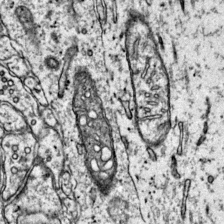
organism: Mouse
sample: Primary visual cortex